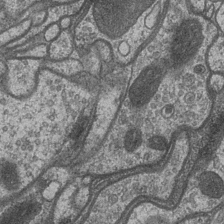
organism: Drosophila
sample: Optic medulla